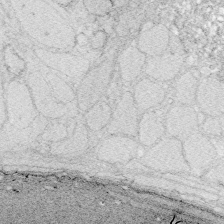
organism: Zebrafish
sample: Whole-Brain